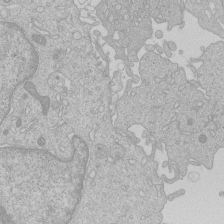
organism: Human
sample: Macrophage cells